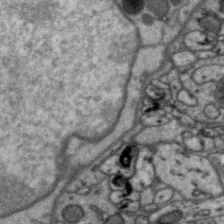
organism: Zebra finch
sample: Brain